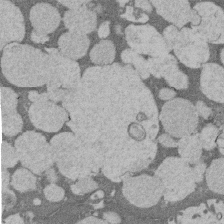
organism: Rat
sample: Salivary granule